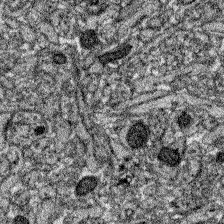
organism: Zebrafish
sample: Larval olfactory bulb